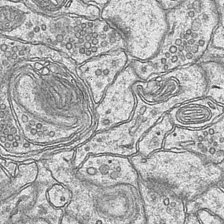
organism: Mouse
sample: CA1 Hippocampus